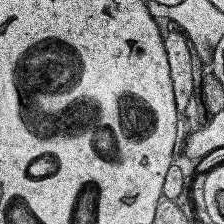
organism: Human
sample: Temporal Lobe